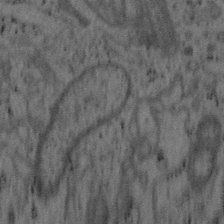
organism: Human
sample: HeLa cells